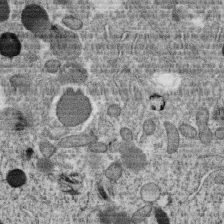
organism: C. elegans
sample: C. elegans oocyte; sperm cells